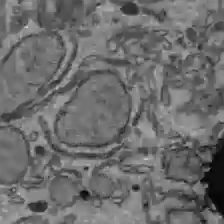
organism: C57BL Mouse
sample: Liver